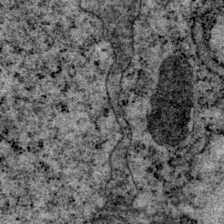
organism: P. pacificus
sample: Pharynx